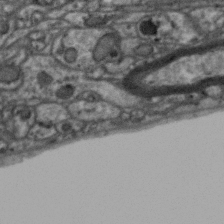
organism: Zebra finch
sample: Brain